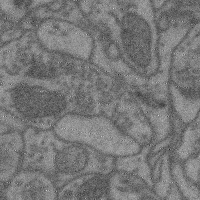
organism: Mouse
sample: Cerebral cortex